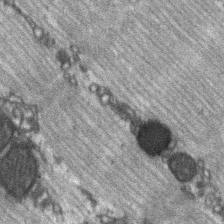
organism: C57BL Mouse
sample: Soleus